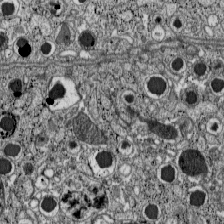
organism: C57BL Mouse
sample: Pancreatic islet